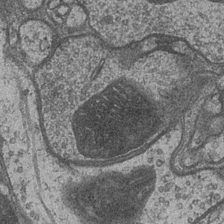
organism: Drosophila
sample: Optic medulla